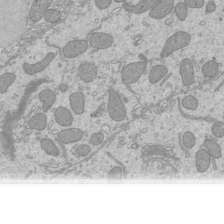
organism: Mouse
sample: Cilia; mouse epididymis